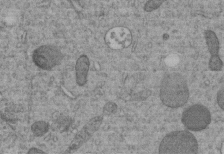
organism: C. elegans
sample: C. elegans embryo early stage